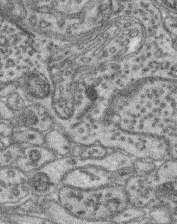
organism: Mouse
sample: Retina